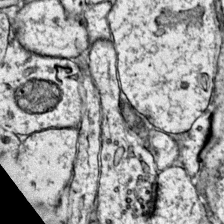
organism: Mouse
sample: Primary visual cortex